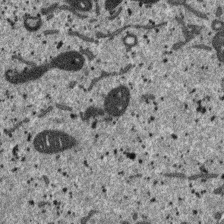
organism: Human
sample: Lung epithelial cells infected with SARS-CoV-2